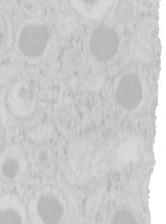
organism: Mouse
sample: Pancreas